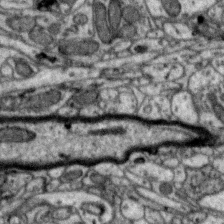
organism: Zebra finch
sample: Brain